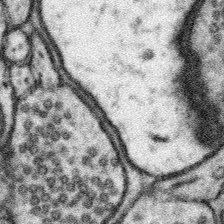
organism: Mouse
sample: Somatosensory cortex neuropil